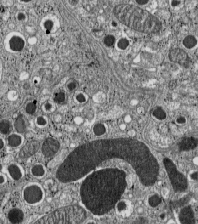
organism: C57BL Mouse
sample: Pancreatic islet